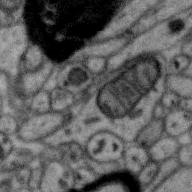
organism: Zebra finch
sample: Brain